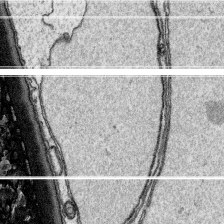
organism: Platynereis dumerilii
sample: Parapodia